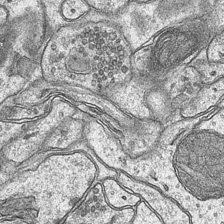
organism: Mouse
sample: CA1 Hippocampus